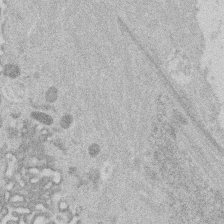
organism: Mouse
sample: Dividing mouse embryo 1 cell stage